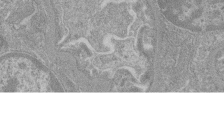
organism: Mouse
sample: Glomerulus